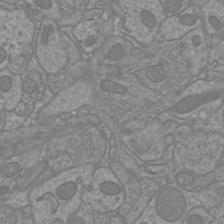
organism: Mouse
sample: Cortical neurons